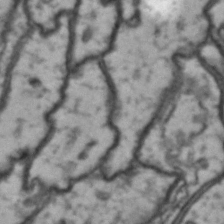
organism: Drosophila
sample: Brain